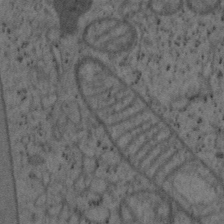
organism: Human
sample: HeLa cells